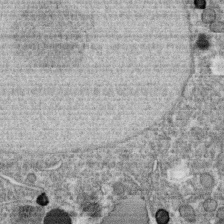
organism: C. elegans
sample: C. elegans oocyte; sperm cells